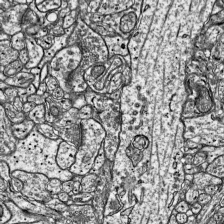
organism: Mouse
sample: Visual Cortex